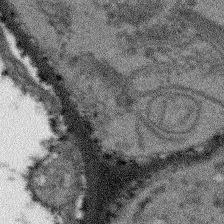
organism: Arabidopsis thaliana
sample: Root tip